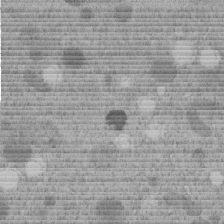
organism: C. elegans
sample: C. elegans embryo early stage